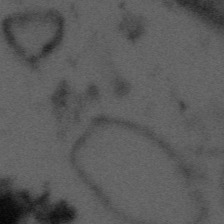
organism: Tuwongella immobilis